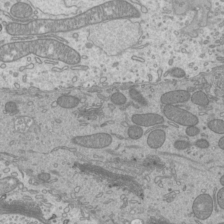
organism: Mouse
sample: Cilia; mouse epididymis